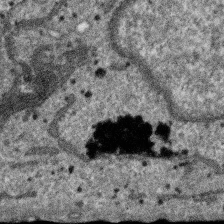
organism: Human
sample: Lung epithelial cells infected with SARS-CoV-2